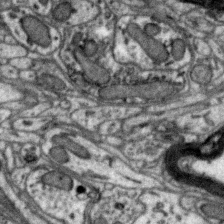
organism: Zebra finch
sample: Brain